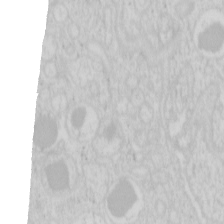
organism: Mouse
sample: Pancreas